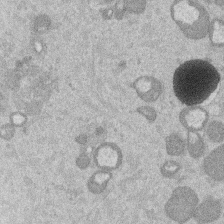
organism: Mouse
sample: Dividing mouse embryo 1 cell stage